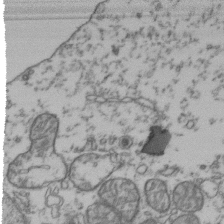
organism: Human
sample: Activated Jurkat CD4+ T cells